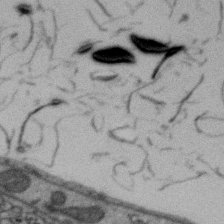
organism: Zebra finch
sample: Brain